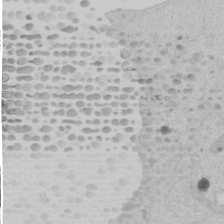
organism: Human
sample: Mitochondria in U2OS cells